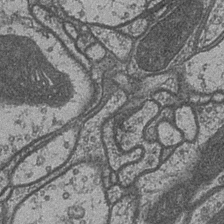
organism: Drosophila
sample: Optic medulla